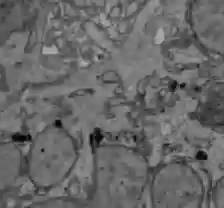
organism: C57BL Mouse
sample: Liver